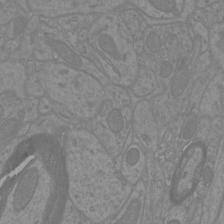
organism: Mouse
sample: Cortical neurons